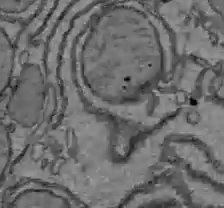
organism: C57BL Mouse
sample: Liver